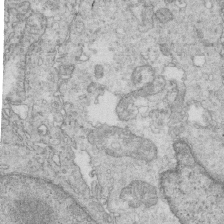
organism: Mouse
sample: Multiciliated cells